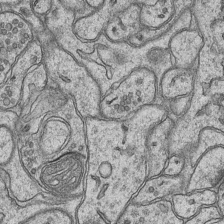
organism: Mouse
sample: CA1 Hippocampus